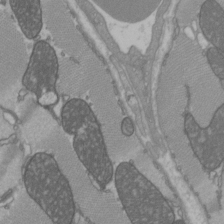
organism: C57BL Mouse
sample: Heart